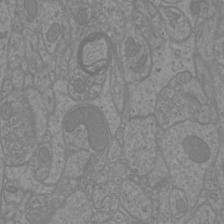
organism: Mouse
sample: Cortical neurons